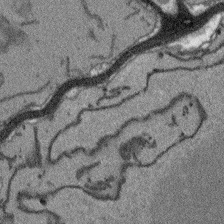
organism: Arabidopsis thaliana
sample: Root tip